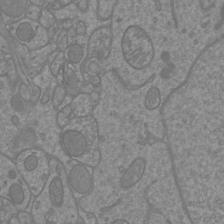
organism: Mouse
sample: Cortical neurons